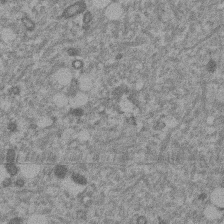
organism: Mouse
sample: Dividing mouse embryo 1 cell stage